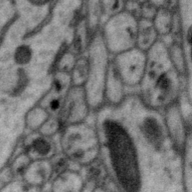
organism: Zebra finch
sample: Brain